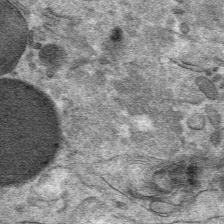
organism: Mouse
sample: Mouse hepatocytes